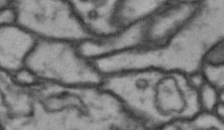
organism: Drosophila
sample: Brain